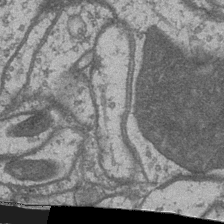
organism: Drosophila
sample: Optic medulla